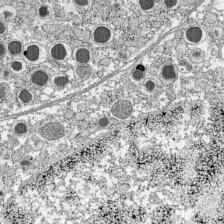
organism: C57BL Mouse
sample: Pancreatic islet